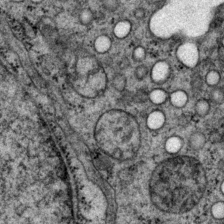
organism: P. pacificus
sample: Pharynx